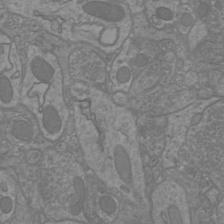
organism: Mouse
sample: Cortical neurons